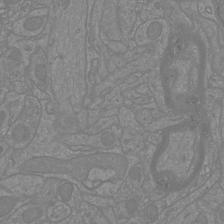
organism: Mouse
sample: Cortical neurons